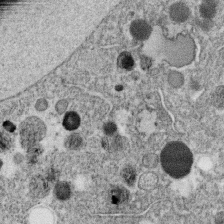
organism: C. elegans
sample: C. elegans oocyte; sperm cells